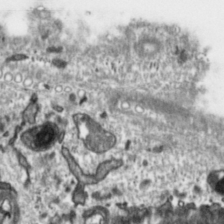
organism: Toxoplasma gondii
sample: Parasites in a vacuole inside a host cell